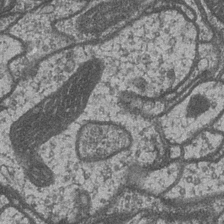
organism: Drosophila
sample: Optic medulla